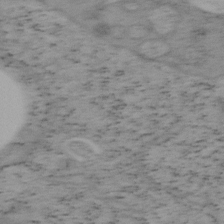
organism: Mouse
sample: OT-I killer T cells with ID8 ovarian cancer cells